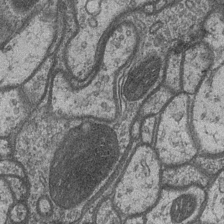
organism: Drosophila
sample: Optic medulla